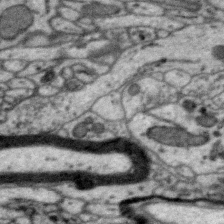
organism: Zebra finch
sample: Brain